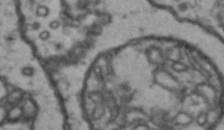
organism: Drosophila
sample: Brain